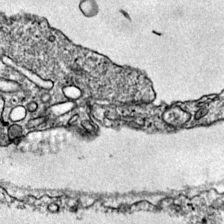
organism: Mouse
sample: Primary visual cortex